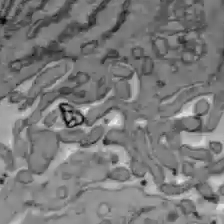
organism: C57BL Mouse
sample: Liver